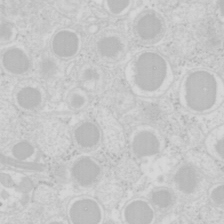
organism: Mouse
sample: Pancreas